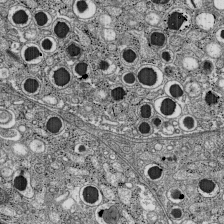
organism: C57BL Mouse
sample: Pancreatic islet